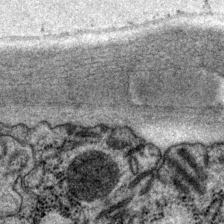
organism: P. pacificus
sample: Pharynx